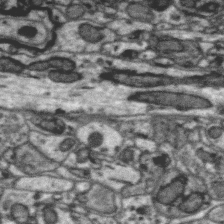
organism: Zebra finch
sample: Brain